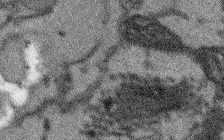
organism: Arabidopsis thaliana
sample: Root tip